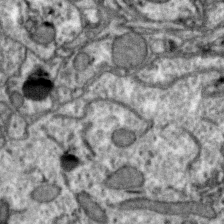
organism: Zebra finch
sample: Brain